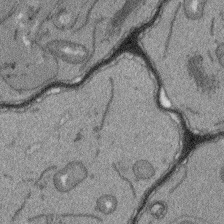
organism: Arabidopsis thaliana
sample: Root tip